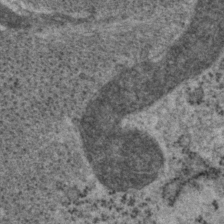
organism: P. pacificus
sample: Pharynx